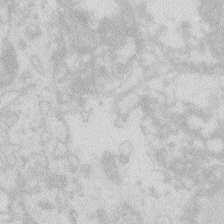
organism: Zebrafish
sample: Macrophage